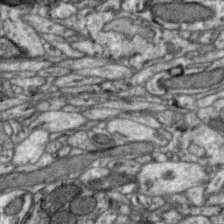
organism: Zebra finch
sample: Brain